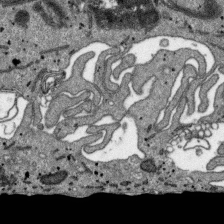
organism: Human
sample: Lung epithelial cells, uninfected (mock) control